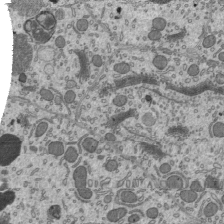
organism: Mouse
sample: Mouse epididymis efferent ductule cilia